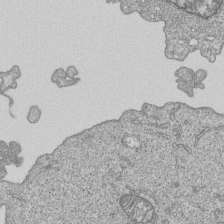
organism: Human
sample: MDA-MB-231 cells